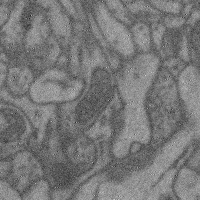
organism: Mouse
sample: Cerebral cortex